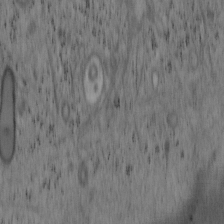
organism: Human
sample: HeLa cells